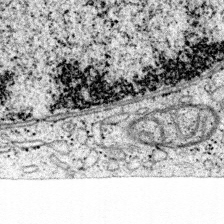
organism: Human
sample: HeLa cells